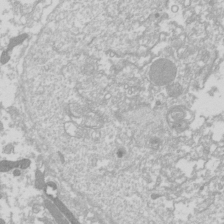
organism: Drosophila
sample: Cell division; meiosis; drosophila spermatocytes